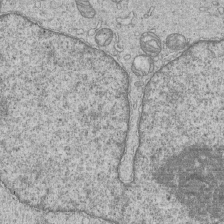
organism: Human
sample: MDA-MB-231 cells